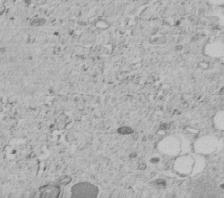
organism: C. elegans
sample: C. elegans embryo early stage